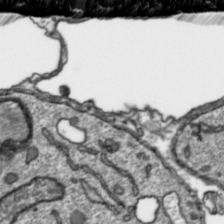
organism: Toxoplasma gondii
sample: Parasites in a vacuole inside a host cell